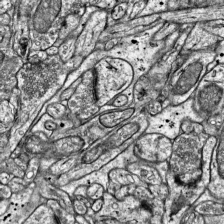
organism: Mouse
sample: Visual Cortex